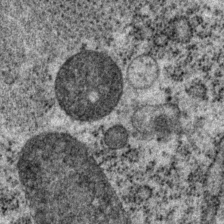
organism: P. pacificus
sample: Pharynx